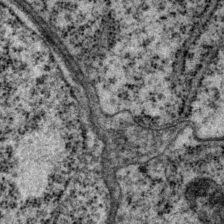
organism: P. pacificus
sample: Pharynx